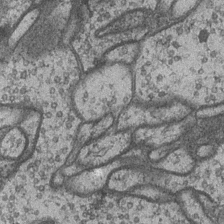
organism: Drosophila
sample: Optic medulla